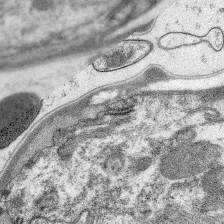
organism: C. elegans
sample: Pharynx